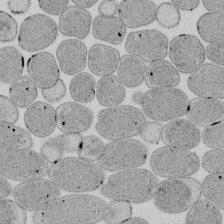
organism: E. coli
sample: Bacterial nucleoid